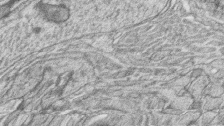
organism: Zebrafish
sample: synaptic ribbons in rod cells and cone cells